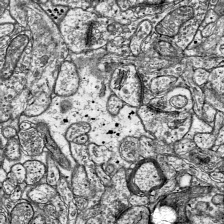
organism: Mouse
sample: Visual Cortex